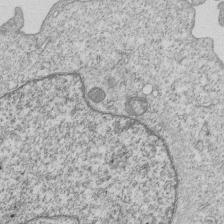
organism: Human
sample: MDA-MB-231 cells